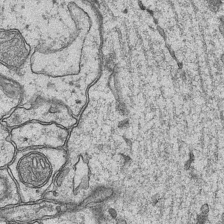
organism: Mouse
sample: CA1 Hippocampus